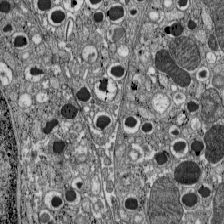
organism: C57BL Mouse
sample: Pancreatic islet